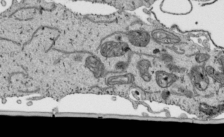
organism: Human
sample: Mitochondria in HCT116 cells